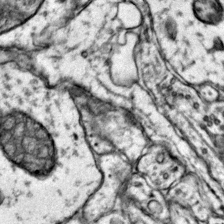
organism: Mouse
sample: Primary visual cortex